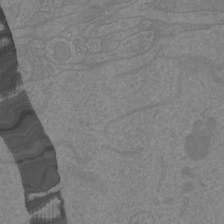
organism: Mouse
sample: Cortical neurons